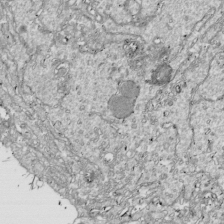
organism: Drosophila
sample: Cell division; meiosis; drosophila spermatocytes